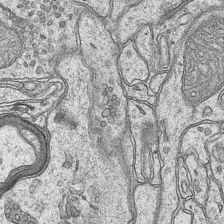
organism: Mouse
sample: CA1 Hippocampus